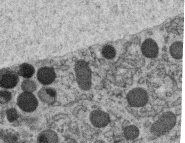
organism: C. elegans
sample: C. elegans oocyte; sperm cells